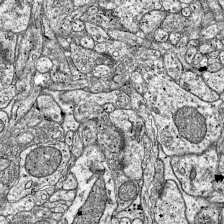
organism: Mouse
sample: Visual Cortex